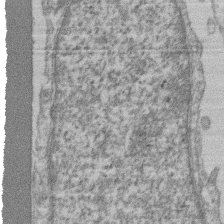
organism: Mouse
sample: T cell stromal cell synapse